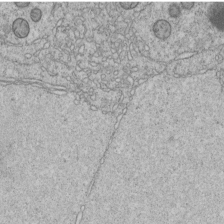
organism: C. elegans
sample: C. elegans embryo early stage